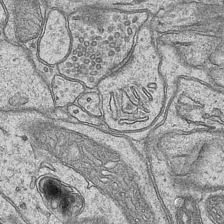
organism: Mouse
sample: CA1 Hippocampus